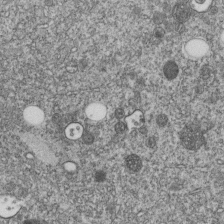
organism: C. elegans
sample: C. elegans embryo early stage